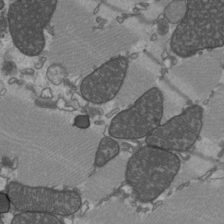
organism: C57BL Mouse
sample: Heart